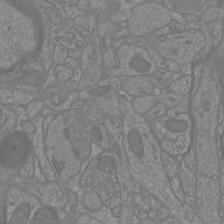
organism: Mouse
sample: Cortical neurons